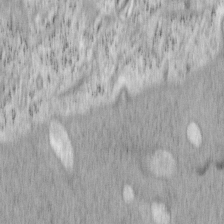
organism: Human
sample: HeLa cells